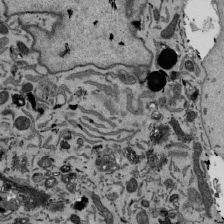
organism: Mouse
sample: ED-1 cell nuclei; centrioles